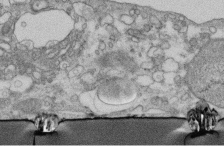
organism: Human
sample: Centriole in fibroblast cells